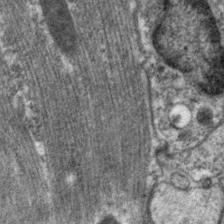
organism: C. elegans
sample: Pharynx